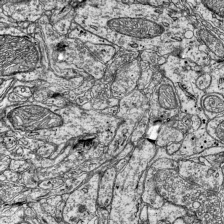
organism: Mouse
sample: Visual Cortex